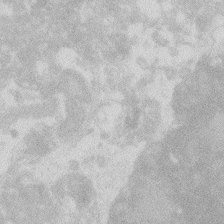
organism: Zebrafish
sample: Macrophage